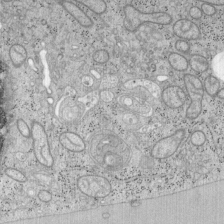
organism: Mouse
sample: OT-I killer T cells with ID8 ovarian cancer cells